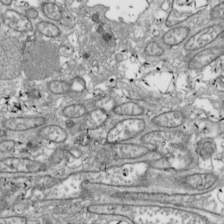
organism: Drosophila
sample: Cell division; meiosis; drosophila spermatocytes